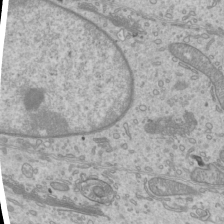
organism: Mouse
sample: Cilia; mouse epididymis